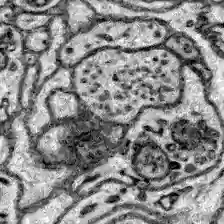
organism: Zebrafish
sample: Brain